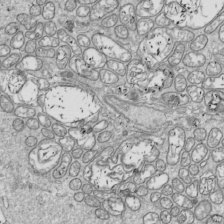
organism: Drosophila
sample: Cell division; meiosis; drosophila spermatocytes